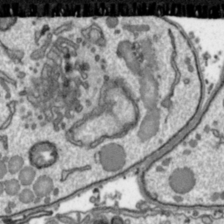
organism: Toxoplasma gondii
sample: Parasites in a vacuole inside a host cell